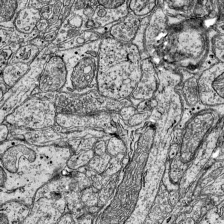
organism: Mouse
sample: Visual Cortex